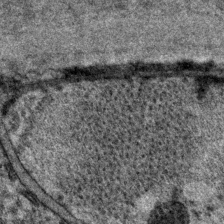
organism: P. pacificus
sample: Pharynx